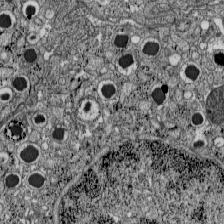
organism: C57BL Mouse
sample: Pancreatic islet